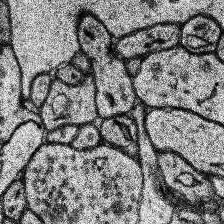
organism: Human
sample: Temporal Lobe